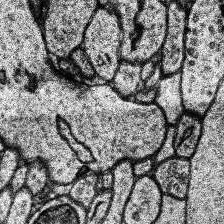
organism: Human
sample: Temporal Lobe